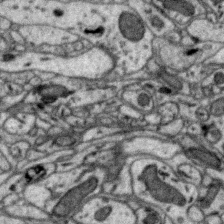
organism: Zebra finch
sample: Brain